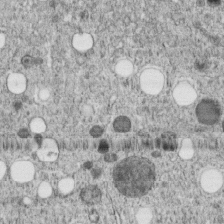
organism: C. elegans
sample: C. elegans embryo early stage